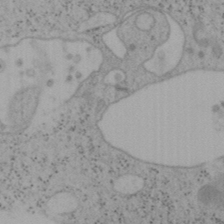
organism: Mouse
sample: OT-I killer T cells with ID8 ovarian cancer cells